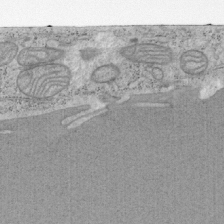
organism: Human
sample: HeLa cells